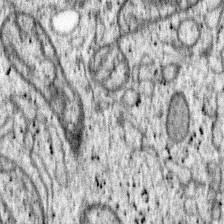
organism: Human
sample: HeLa cells